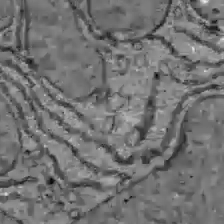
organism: C57BL Mouse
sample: Liver